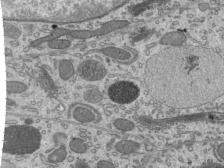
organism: Mouse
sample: Mouse epididymis efferent ductule cilia